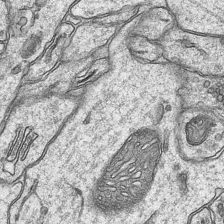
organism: Mouse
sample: CA1 Hippocampus